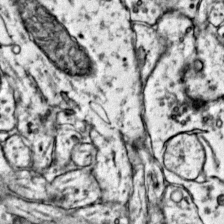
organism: Mouse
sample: Primary visual cortex